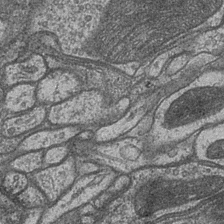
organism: Drosophila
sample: Optic medulla